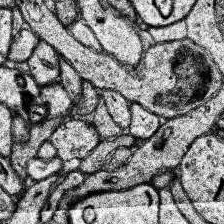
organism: Human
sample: Temporal Lobe